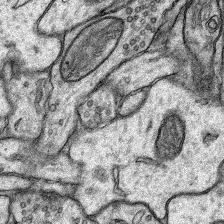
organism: Rat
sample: Hippocampus